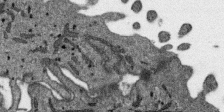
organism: Human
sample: Lung epithelial cells, uninfected (mock) control